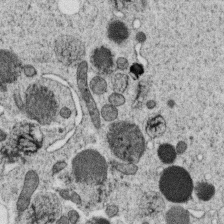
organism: C. elegans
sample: C. elegans oocyte; sperm cells